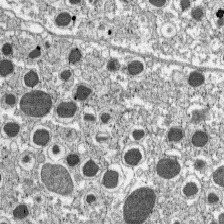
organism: C57BL Mouse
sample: Pancreatic islet